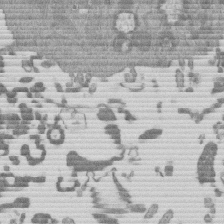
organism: Mouse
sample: Dividing mouse embryo 1 cell stage